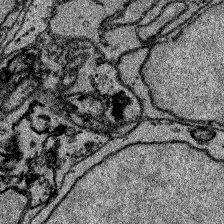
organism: Zebrafish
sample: Larval olfactory bulb